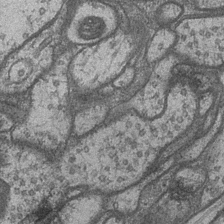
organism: Drosophila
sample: Optic medulla